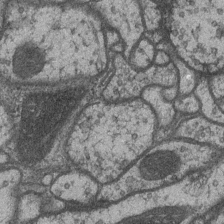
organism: Drosophila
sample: Optic medulla